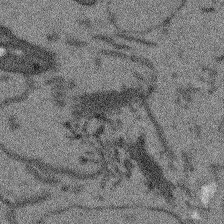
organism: Arabidopsis thaliana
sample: Root tip